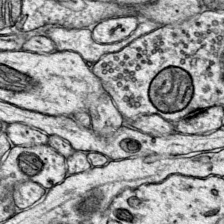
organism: Mouse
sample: Primary visual cortex